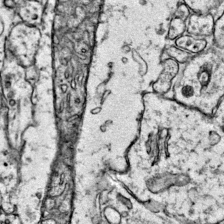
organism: Mouse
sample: Primary visual cortex